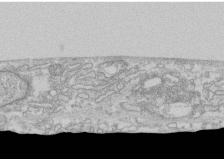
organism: Human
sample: CRL-1474